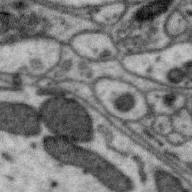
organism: Zebra finch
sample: Brain